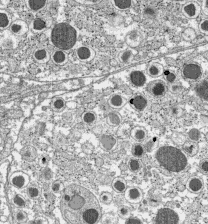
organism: C57BL Mouse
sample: Pancreatic islet